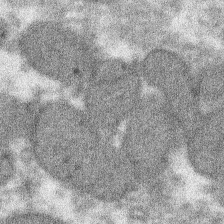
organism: Xenopus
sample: Cilia; centrioles in frog embryo cells